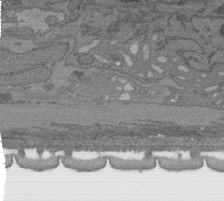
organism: C. elegans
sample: AFD neurons C. elegans